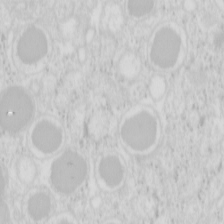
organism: Mouse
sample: Pancreas